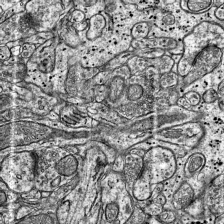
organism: Mouse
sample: Visual Cortex